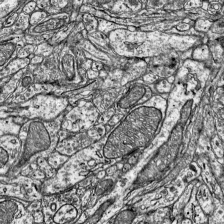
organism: Mouse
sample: Visual Cortex